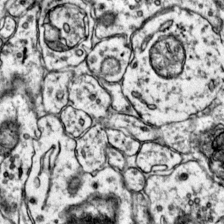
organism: Mouse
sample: Primary visual cortex